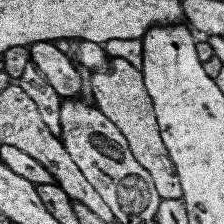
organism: Human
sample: Temporal Lobe